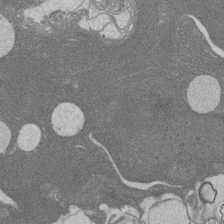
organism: Rat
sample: Salivary granule